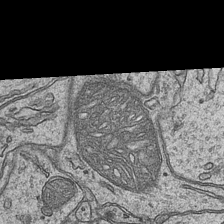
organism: Mouse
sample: CA1 Hippocampus